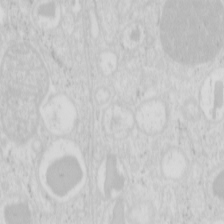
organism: Mouse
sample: Pancreas